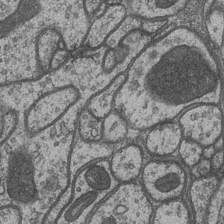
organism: Drosophila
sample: Optic medulla